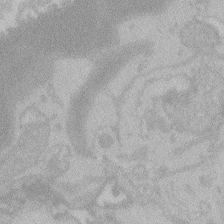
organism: Zebrafish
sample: Macrophage infected with Toxoplasma gondii